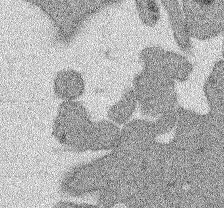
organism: Human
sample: HeLa cells